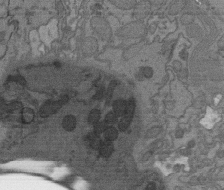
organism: C. elegans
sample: AFD neurons C. elegans